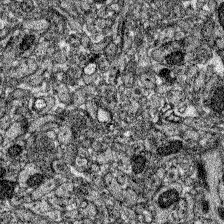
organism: Zebrafish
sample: Larval olfactory bulb